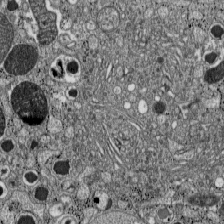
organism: C57BL Mouse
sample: Pancreatic islet